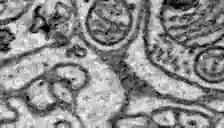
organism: Zebrafish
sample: Brain